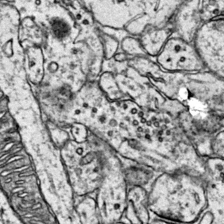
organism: Mouse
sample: Primary visual cortex